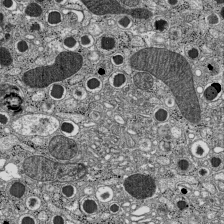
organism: C57BL Mouse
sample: Pancreatic islet